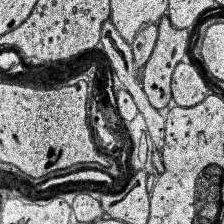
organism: Human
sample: Temporal Lobe